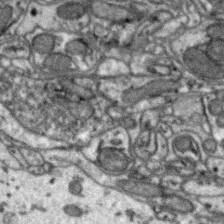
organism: Zebra finch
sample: Brain